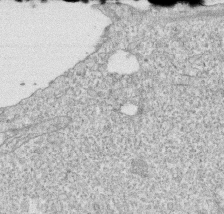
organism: Human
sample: HeLa cell HIV synapse